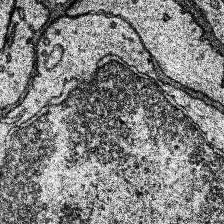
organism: Human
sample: Temporal Lobe